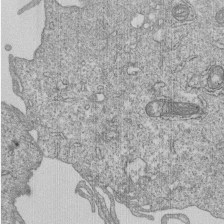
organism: Human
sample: MDA-MB-231 cells